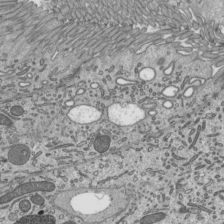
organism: Mouse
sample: Mouse epididymis efferent ductule cilia